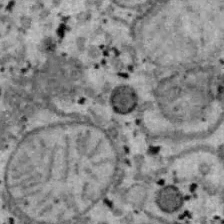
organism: Mouse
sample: Liver from an obese (ob/ob) mouse